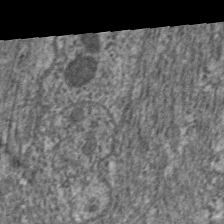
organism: C. elegans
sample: Pharynx